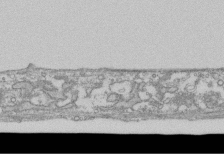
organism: Human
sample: Fibroblast cells